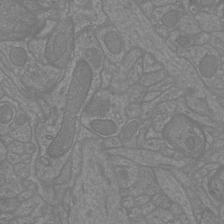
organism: Mouse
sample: Cortical neurons